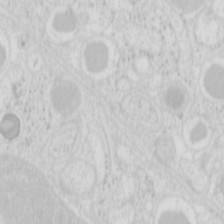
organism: Mouse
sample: Pancreas